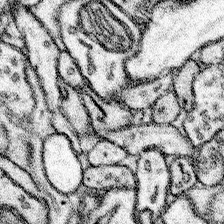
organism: Mouse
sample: Somatosensory cortex neuropil